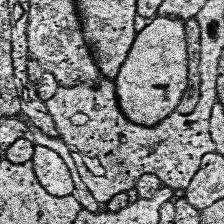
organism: Human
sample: Temporal Lobe